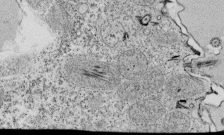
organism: Tetrahymena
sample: Cilia in tetrahymena